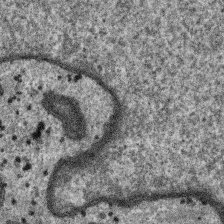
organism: Human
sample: Lung epithelial cells infected with SARS-CoV-2